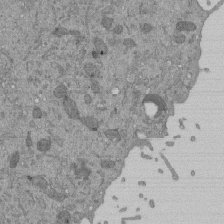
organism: Mouse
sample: ED-1 cell nuclei; centrioles